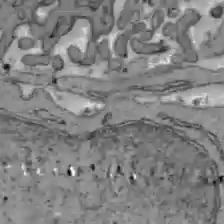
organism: C57BL Mouse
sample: Liver